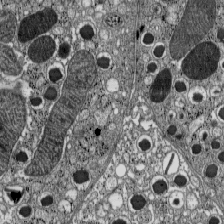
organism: C57BL Mouse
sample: Pancreatic islet